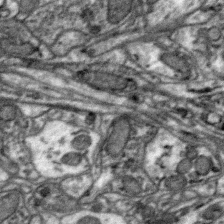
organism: Zebra finch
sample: Brain